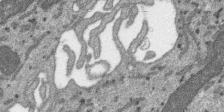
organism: Human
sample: Lung epithelial cells infected with SARS-CoV-2